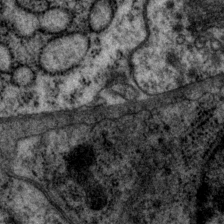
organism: P. pacificus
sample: Pharynx